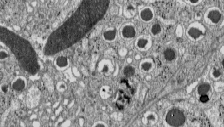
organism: C57BL Mouse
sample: Pancreatic islet